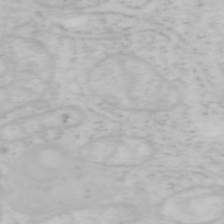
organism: Mouse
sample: OT-I killer T cells with ID8 ovarian cancer cells